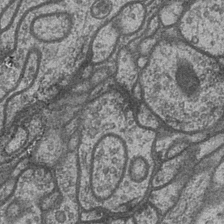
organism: Drosophila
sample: Optic medulla